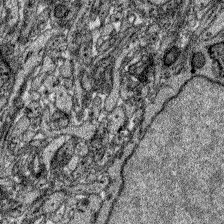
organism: Zebrafish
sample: Larval olfactory bulb